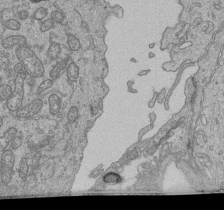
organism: Human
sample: Retinal organoid Rod and Cone cells